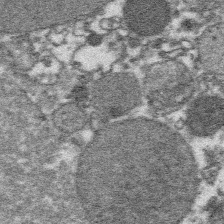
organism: Platynereis dumerilii